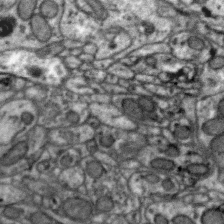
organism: Zebra finch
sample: Brain